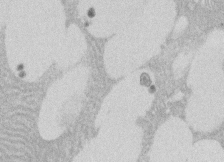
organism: Rat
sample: Salivary granule